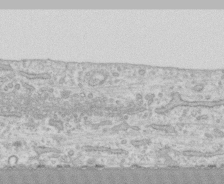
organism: Human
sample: CRL-1474